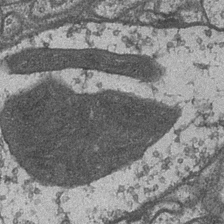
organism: Drosophila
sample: Optic medulla